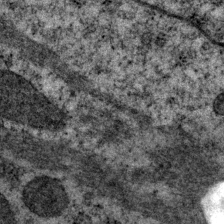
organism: P. pacificus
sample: Pharynx